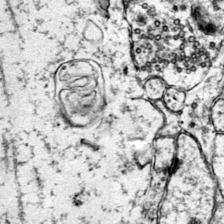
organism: Mouse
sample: Primary visual cortex